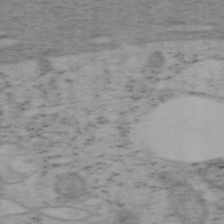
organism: Mouse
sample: OT-I killer T cells with ID8 ovarian cancer cells